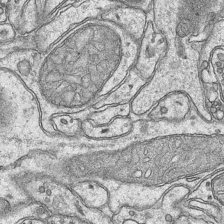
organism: Mouse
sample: CA1 Hippocampus